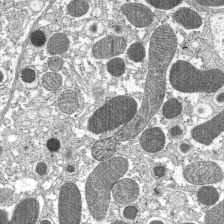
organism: C57BL Mouse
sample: Pancreatic islet